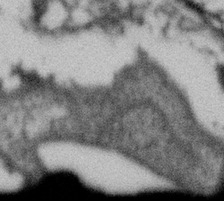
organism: Gemmata obscuriglobus